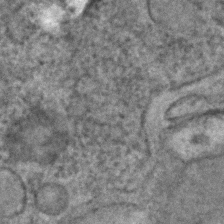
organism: C. elegans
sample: C. elegans embryo